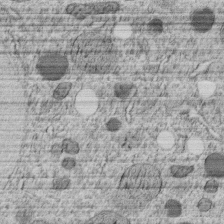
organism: C. elegans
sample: C. elegans embryo early stage